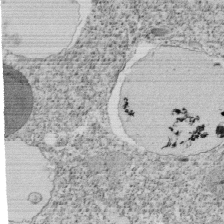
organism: Tetrahymena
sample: Cilia in tetrahymena